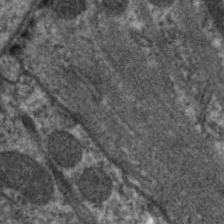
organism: C. elegans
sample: Pharynx